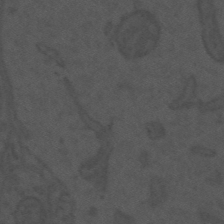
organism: Mouse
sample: Suprachiasmatic nucleus